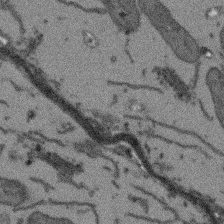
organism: Arabidopsis thaliana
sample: Root tip